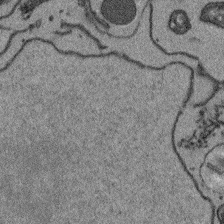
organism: Arabidopsis thaliana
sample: Root tip